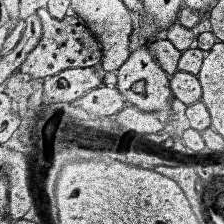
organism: Human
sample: Temporal Lobe